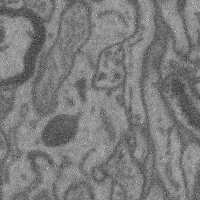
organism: Mouse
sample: Cerebral cortex